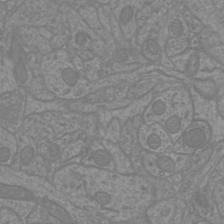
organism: Mouse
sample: Cortical neurons